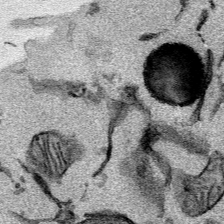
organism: Mouse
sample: Cancer cell death in ED-1 cells